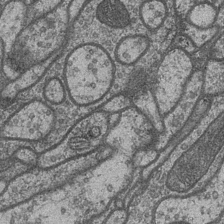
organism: Drosophila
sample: Optic medulla